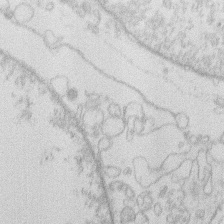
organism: Human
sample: Macrophage cells